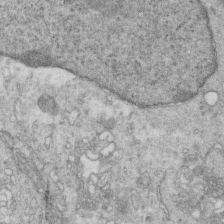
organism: Mouse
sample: Multiciliated cells